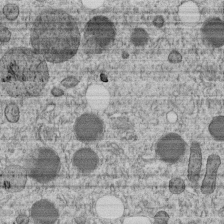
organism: C. elegans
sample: C. elegans embryo early stage